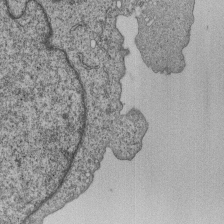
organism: Human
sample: MDA-MB-231 cells